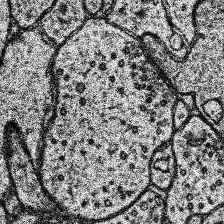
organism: Human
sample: Temporal Lobe